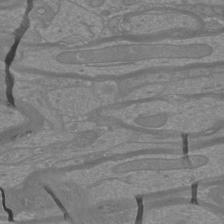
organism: Mouse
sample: Cortical neurons